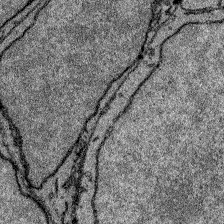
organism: Zebrafish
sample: Larval olfactory bulb